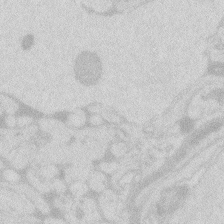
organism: Zebrafish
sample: Macrophage